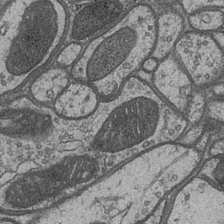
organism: Drosophila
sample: Optic medulla